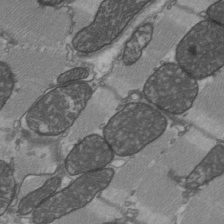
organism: C57BL Mouse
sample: Heart